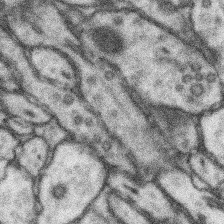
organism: Mouse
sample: Somatosensory cortex neuropil